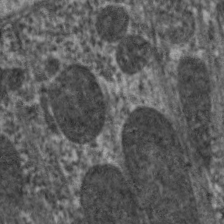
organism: C. elegans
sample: Pharynx